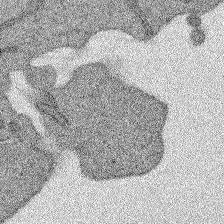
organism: Human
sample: HeLa cells